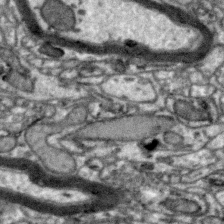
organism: Zebra finch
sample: Brain